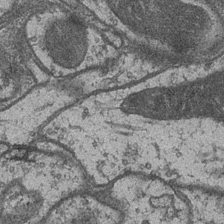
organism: Drosophila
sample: Optic medulla